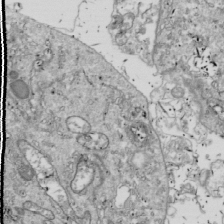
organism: Drosophila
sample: Cell division; meiosis; drosophila spermatocytes